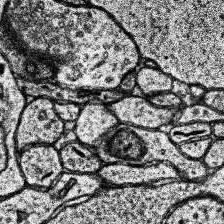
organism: Human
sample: Temporal Lobe